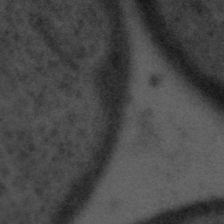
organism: Tuwongella immobilis